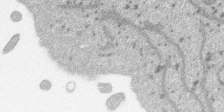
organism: Human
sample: Lung epithelial cells infected with SARS-CoV-2